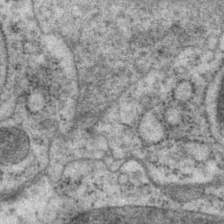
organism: P. pacificus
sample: Pharynx